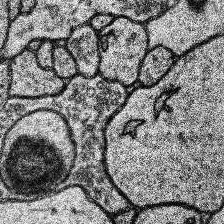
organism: Human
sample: Temporal Lobe